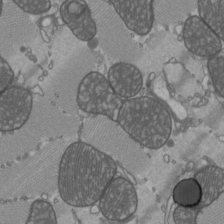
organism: C57BL Mouse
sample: Heart